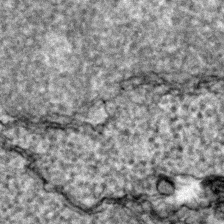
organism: Zebrafish